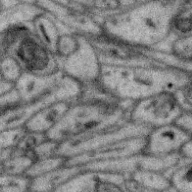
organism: Zebra finch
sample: Brain